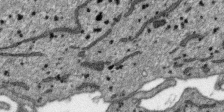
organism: Human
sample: Lung epithelial cells, uninfected (mock) control